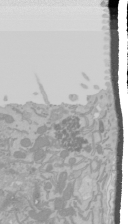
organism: Mouse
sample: Cancer cell death in ED-1 cells